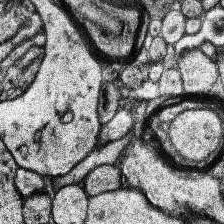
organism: Human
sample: Temporal Lobe